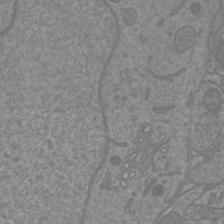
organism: Mouse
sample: Cortical neurons